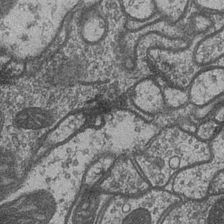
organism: Drosophila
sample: Optic medulla